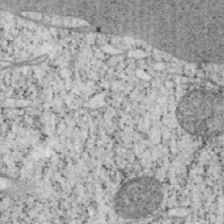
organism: Mouse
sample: OT-I killer T cells with ID8 ovarian cancer cells